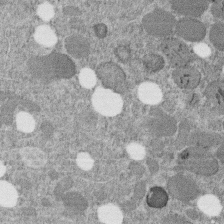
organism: C. elegans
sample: C. elegans embryo early stage